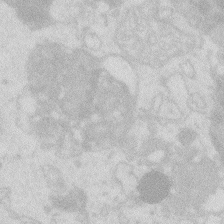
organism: Zebrafish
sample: Macrophage